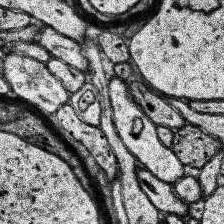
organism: Human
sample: Temporal Lobe